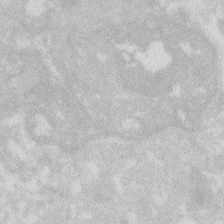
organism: Zebrafish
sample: Macrophage